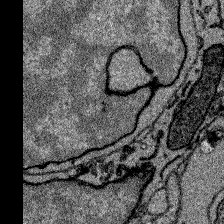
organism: Zebrafish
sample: Larval olfactory bulb